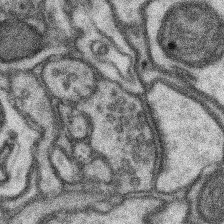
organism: Mouse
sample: Somatosensory cortex neuropil